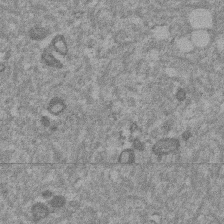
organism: Mouse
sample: Dividing mouse embryo 1 cell stage